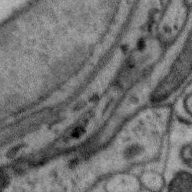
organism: Zebra finch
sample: Brain